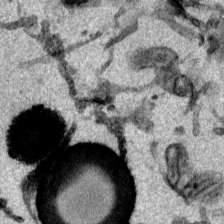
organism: Mouse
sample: Cancer cell death in ED-1 cells